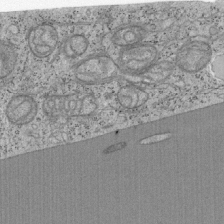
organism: Human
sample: HeLa cells